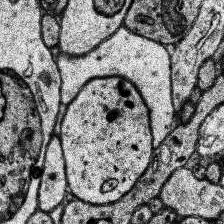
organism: Human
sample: Temporal Lobe